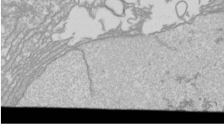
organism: Drosophila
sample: Cell division; meiosis; drosophila spermatocytes